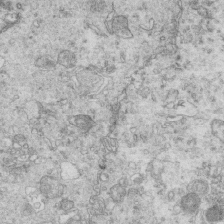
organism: Mouse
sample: Multiciliated cells